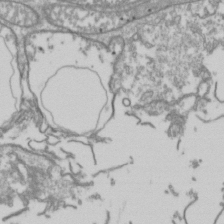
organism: Drosophila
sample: Cell division; meiosis; drosophila spermatocytes